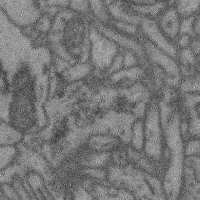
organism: Mouse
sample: Cerebral cortex